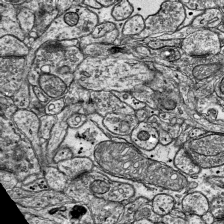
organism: Mouse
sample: Visual Cortex